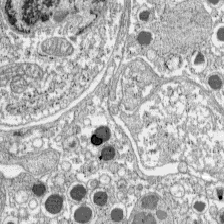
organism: C57BL Mouse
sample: Pancreatic islet